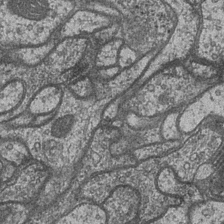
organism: Drosophila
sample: Optic medulla